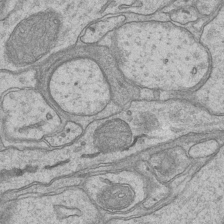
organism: Mouse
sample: CA1 Hippocampus